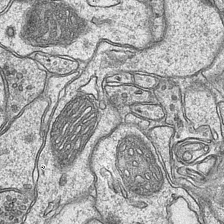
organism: Mouse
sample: CA1 Hippocampus